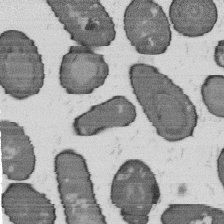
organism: B. subtilis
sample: Bacterial spore